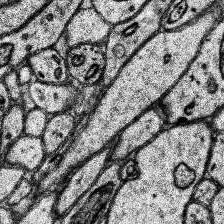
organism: Human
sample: Temporal Lobe